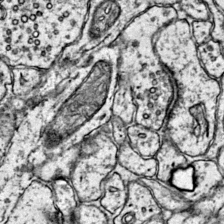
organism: Mouse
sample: Primary visual cortex